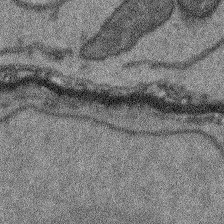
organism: Arabidopsis thaliana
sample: Root tip